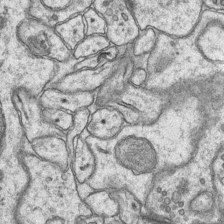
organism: Mouse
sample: CA1 Hippocampus